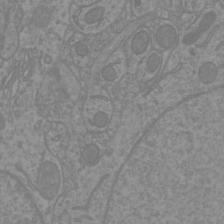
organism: Mouse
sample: Cortical neurons